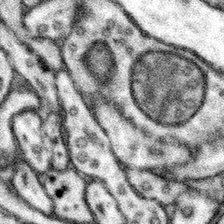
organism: Mouse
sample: Somatosensory cortex neuropil